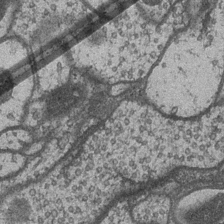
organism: Drosophila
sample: Optic medulla